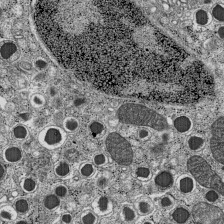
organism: C57BL Mouse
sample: Pancreatic islet